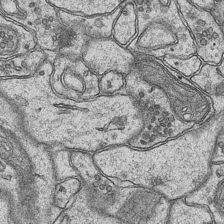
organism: Mouse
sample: CA1 Hippocampus